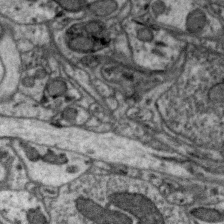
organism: Zebra finch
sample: Brain